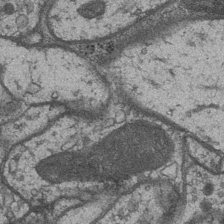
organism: Drosophila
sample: Optic medulla